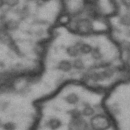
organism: Drosophila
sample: Brain